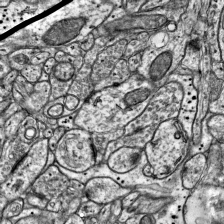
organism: Mouse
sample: Visual Cortex